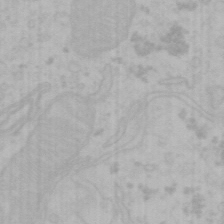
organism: Mouse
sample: Choroid plexus